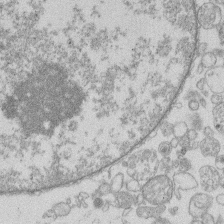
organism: Human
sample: Macrophage cells